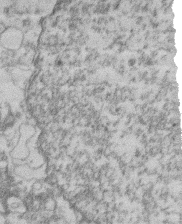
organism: Mouse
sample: T cell stromal cell synapse